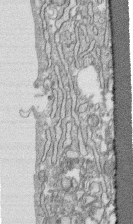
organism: Human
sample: CRL-1474